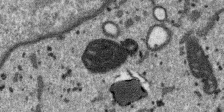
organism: Human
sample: Lung epithelial cells infected with SARS-CoV-2